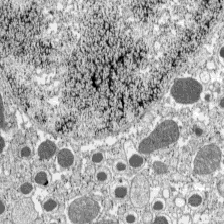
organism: C57BL Mouse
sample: Pancreatic islet